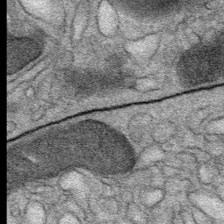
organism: Mouse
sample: Mouse Salivary gland